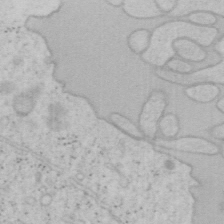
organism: Human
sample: HeLa cells